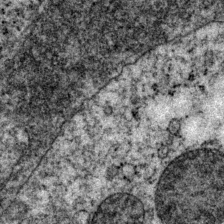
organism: P. pacificus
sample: Pharynx